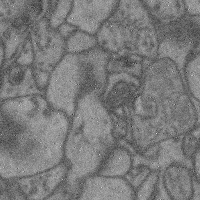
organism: Mouse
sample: Cerebral cortex